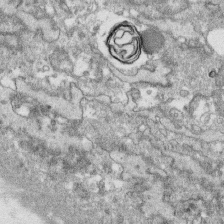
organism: Human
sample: CRL-1474